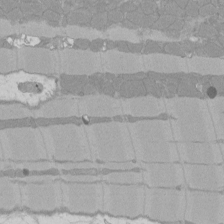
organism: Rat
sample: Left ventricle